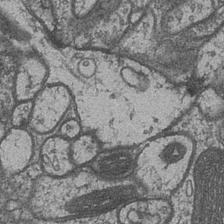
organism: Drosophila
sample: Optic medulla